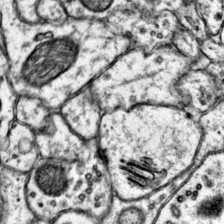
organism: Mouse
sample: Primary visual cortex